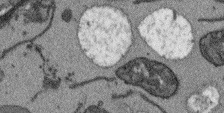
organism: Arabidopsis thaliana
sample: Root tip